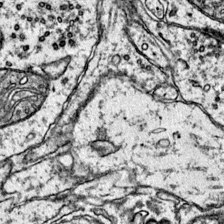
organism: Mouse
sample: Primary visual cortex